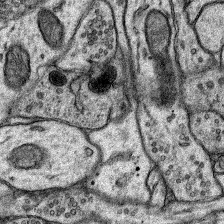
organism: Rat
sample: Hippocampus